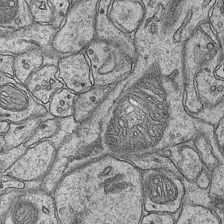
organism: Mouse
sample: CA1 Hippocampus